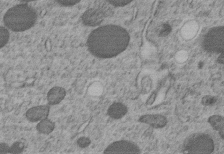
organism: C. elegans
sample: C. elegans embryo early stage